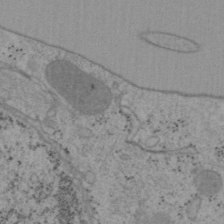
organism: Human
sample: HeLa cells